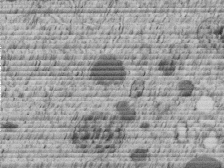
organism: C. elegans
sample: C. elegans embryo early stage